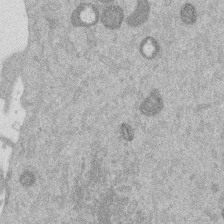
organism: Mouse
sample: Dividing mouse embryo 1 cell stage